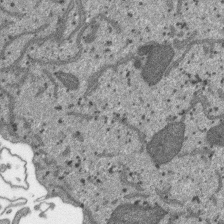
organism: Human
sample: Lung epithelial cells infected with SARS-CoV-2